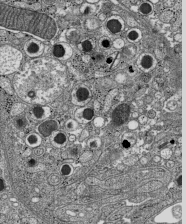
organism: C57BL Mouse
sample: Pancreatic islet